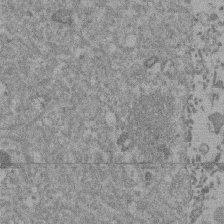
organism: Mouse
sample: Dividing mouse embryo 1 cell stage